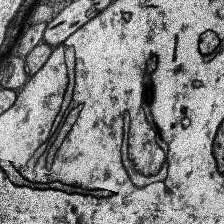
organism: Human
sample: Temporal Lobe